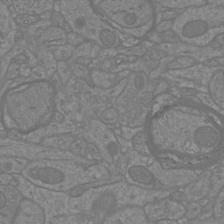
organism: Mouse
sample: Cortical neurons